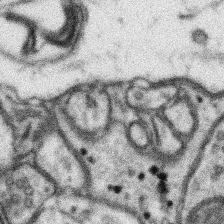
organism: Mouse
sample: Somatosensory cortex neuropil